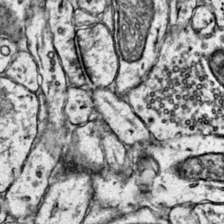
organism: Mouse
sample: Primary visual cortex